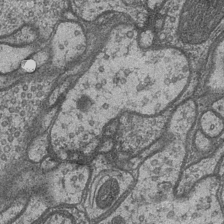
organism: Drosophila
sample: Optic medulla